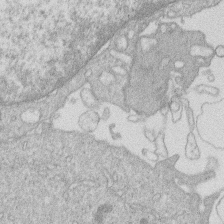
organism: Human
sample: Macrophage cells